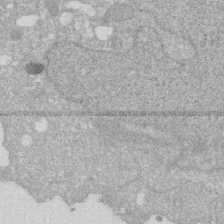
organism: Human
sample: HIV infected U937 cells